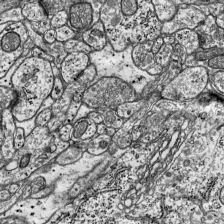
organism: Mouse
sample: Visual Cortex